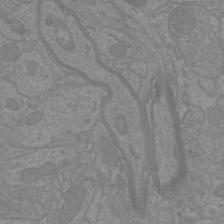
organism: Mouse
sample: Cortical neurons